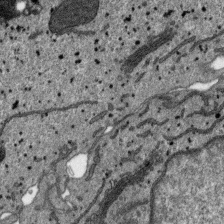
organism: Human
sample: Lung epithelial cells, uninfected (mock) control